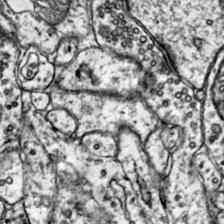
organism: Mouse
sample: Primary visual cortex